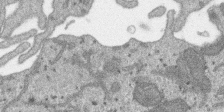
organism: Human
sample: Lung epithelial cells infected with SARS-CoV-2